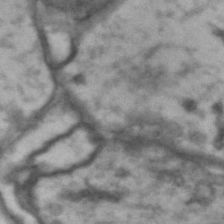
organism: Drosophila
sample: Brain